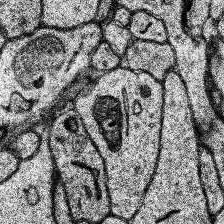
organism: Human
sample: Temporal Lobe